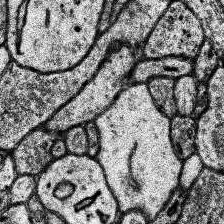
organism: Human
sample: Temporal Lobe